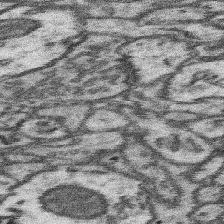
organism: Mouse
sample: Somatosensory cortex neuropil